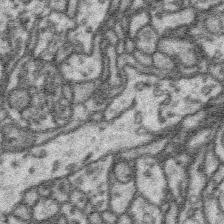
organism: Platynereis dumerilii